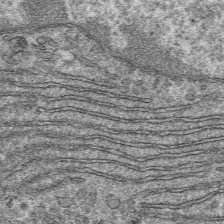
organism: Mouse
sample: Mouse hepatocytes